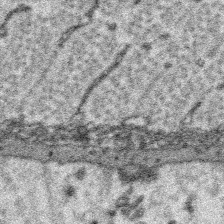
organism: Platynereis dumerilii